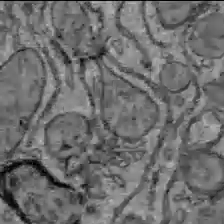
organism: C57BL Mouse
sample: Liver